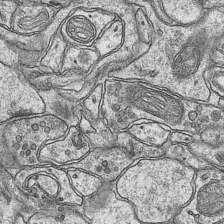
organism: Mouse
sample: CA1 Hippocampus